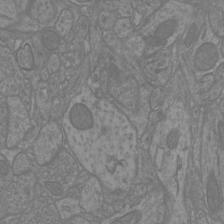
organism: Mouse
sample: Cortical neurons